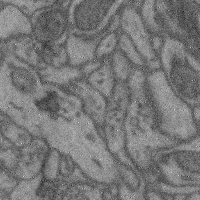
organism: Mouse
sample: Cerebral cortex